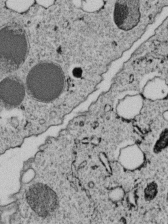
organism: C. elegans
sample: C. elegans embryo early stage